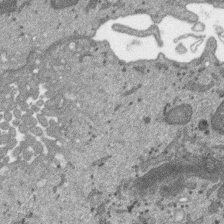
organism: Human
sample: Lung epithelial cells infected with SARS-CoV-2